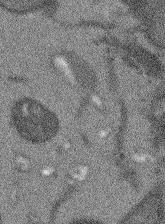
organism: Arabidopsis thaliana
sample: Root tip